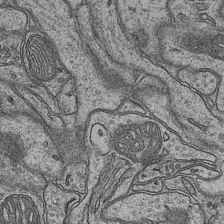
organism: Mouse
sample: CA1 Hippocampus